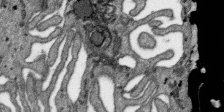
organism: Human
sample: Lung epithelial cells, uninfected (mock) control